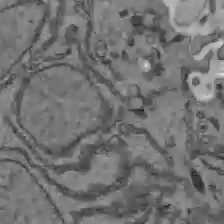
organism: C57BL Mouse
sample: Liver